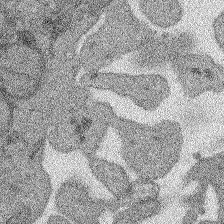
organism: Human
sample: HeLa cells